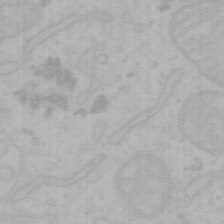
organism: Mouse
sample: Choroid plexus